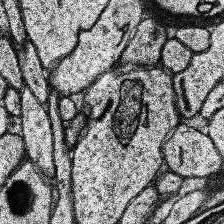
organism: Human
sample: Temporal Lobe